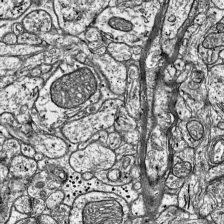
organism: Mouse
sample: Visual Cortex